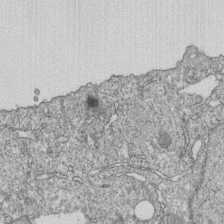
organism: Human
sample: HeLa cell HIV synapse